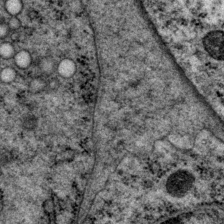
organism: P. pacificus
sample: Pharynx